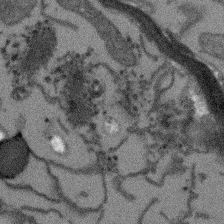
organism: Arabidopsis thaliana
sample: Root tip